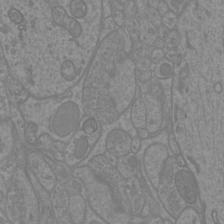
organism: Mouse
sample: Cortical neurons